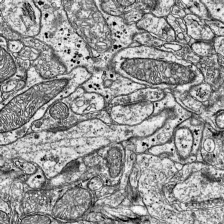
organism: Mouse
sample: Visual Cortex